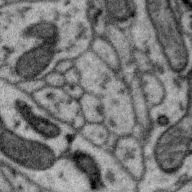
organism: Zebra finch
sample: Brain